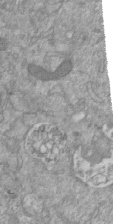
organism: Mouse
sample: ED-1 cell nuclei; centrioles